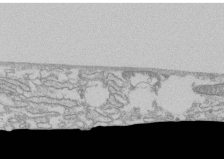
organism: Human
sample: CRL-1474